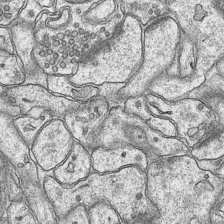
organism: Mouse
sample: CA1 Hippocampus